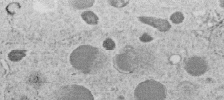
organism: C. elegans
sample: C. elegans embryo early stage